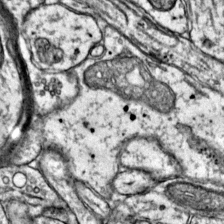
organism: Mouse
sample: Primary visual cortex